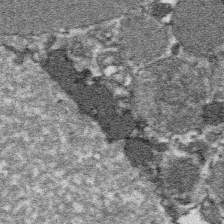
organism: Platynereis dumerilii